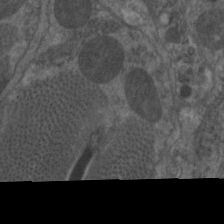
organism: C. elegans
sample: Pharynx